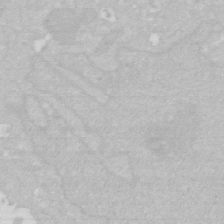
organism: Human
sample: HIV infected U937 cells